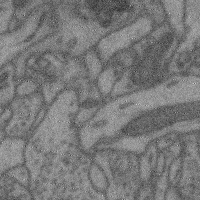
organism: Mouse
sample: Cerebral cortex